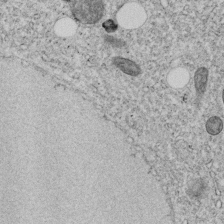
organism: C. elegans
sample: C. elegans embryo early stage